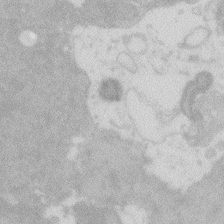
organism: Zebrafish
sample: Macrophage